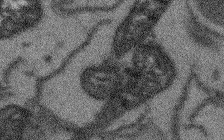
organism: Arabidopsis thaliana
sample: Root tip